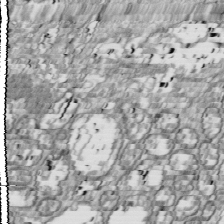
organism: Drosophila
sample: Cell division; meiosis; drosophila spermatocytes